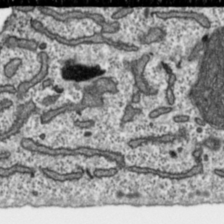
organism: Toxoplasma gondii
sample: Parasites in a vacuole inside a host cell